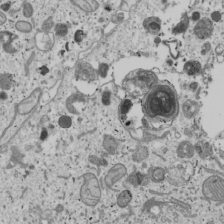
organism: Human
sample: Mitochondria in U2OS cells